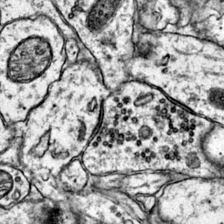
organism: Mouse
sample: Primary visual cortex